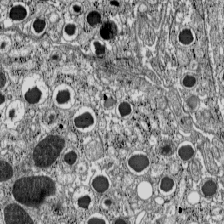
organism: C57BL Mouse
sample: Pancreatic islet